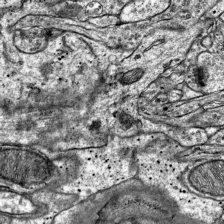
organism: Mouse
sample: Visual Cortex